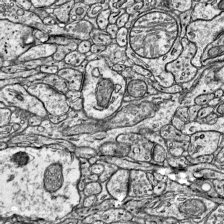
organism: Mouse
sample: Visual Cortex